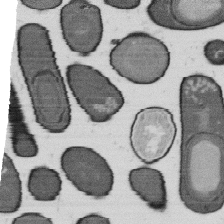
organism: B. subtilis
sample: Bacterial spore